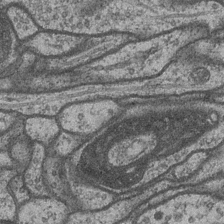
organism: Drosophila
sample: Optic medulla